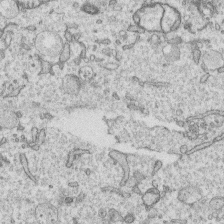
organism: Human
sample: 1205lu cells